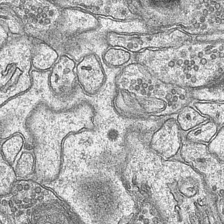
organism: Mouse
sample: CA1 Hippocampus